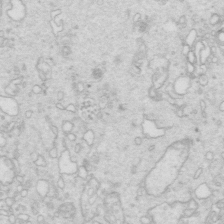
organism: Mouse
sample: Multiciliated cells